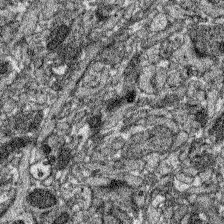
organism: Zebrafish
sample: Larval olfactory bulb